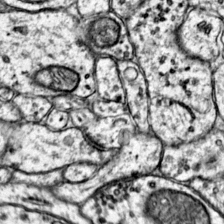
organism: Mouse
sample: Primary visual cortex